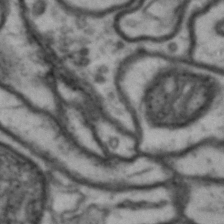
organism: Drosophila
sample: Brain